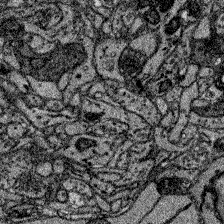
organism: Zebrafish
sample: Larval olfactory bulb